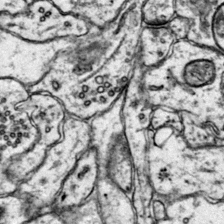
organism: Mouse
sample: Primary visual cortex